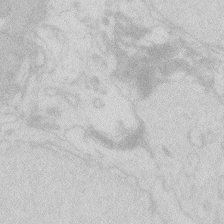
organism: Zebrafish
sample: Macrophage